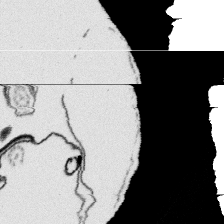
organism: Platynereis dumerilii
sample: Parapodia